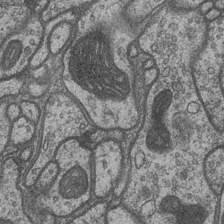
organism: Drosophila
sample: Optic medulla